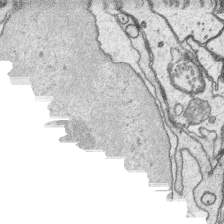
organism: Platynereis dumerilii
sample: Parapodia